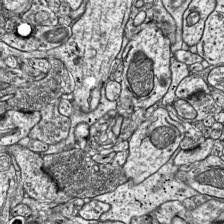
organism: Mouse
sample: Visual Cortex